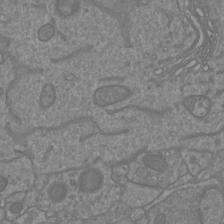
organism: Mouse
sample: Cortical neurons